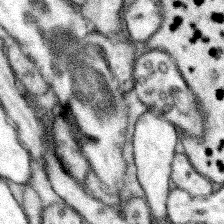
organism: Mouse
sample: Somatosensory cortex neuropil